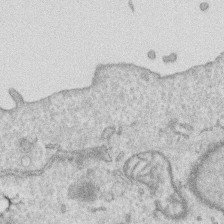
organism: Human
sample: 1205lu cells